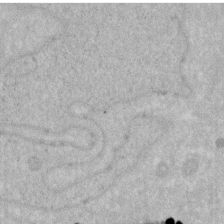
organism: Human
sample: HIV infected U937 cells